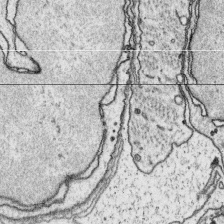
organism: Platynereis dumerilii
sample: Parapodia